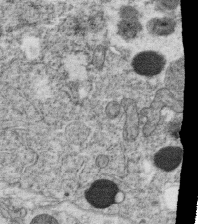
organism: C. elegans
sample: C. elegans oocyte; sperm cells